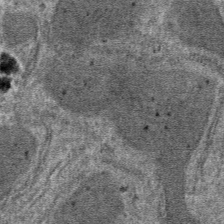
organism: Mouse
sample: Mouse hepatocytes